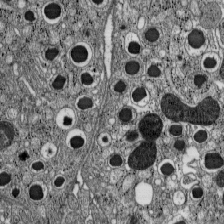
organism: C57BL Mouse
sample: Pancreatic islet